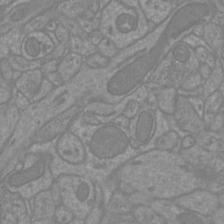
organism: Mouse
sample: Cortical neurons